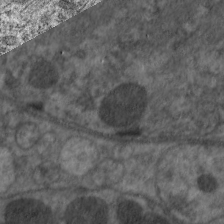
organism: C. elegans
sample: Pharynx